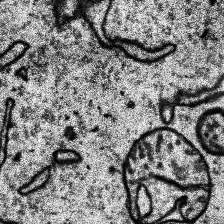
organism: Human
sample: Temporal Lobe